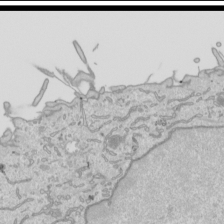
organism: Human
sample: Mitochondria in HCT116 cells